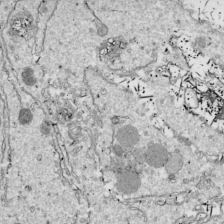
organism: Drosophila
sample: Cell division; meiosis; drosophila spermatocytes